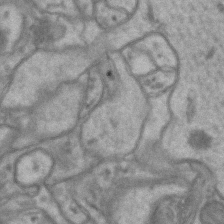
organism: Mouse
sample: CA1 Hippocampus